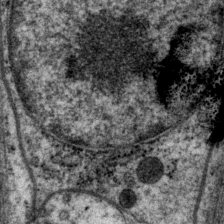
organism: P. pacificus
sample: Pharynx